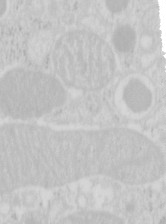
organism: Mouse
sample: Pancreas